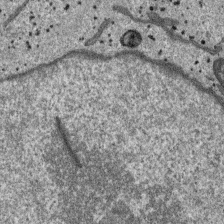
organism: Human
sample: Lung epithelial cells, uninfected (mock) control